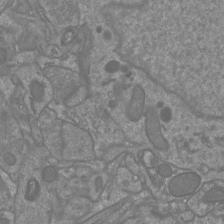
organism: Mouse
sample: Cortical neurons